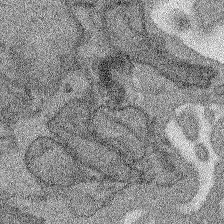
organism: Human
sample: HeLa cells